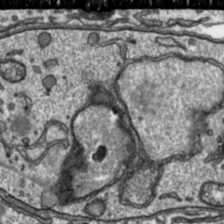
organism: Toxoplasma gondii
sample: Parasites in a vacuole inside a host cell